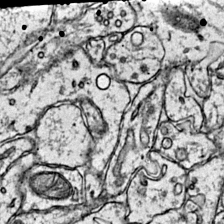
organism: Mouse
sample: Primary visual cortex